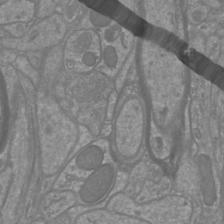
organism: Mouse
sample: Cortical neurons